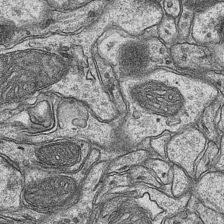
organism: Mouse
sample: CA1 Hippocampus